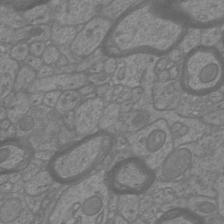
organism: Mouse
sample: Cortical neurons